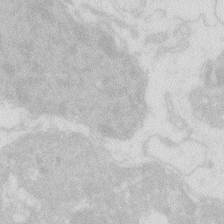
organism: Zebrafish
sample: Macrophage